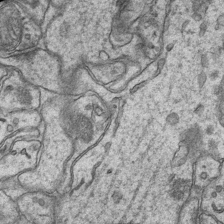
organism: Mouse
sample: CA1 Hippocampus